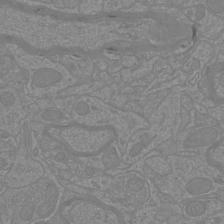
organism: Mouse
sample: Cortical neurons